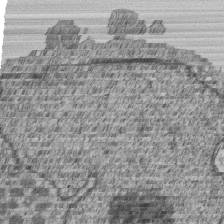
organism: Human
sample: MDA-MB-231 cells